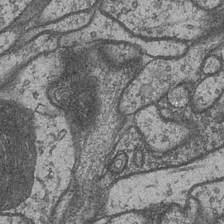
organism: Drosophila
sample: Optic medulla